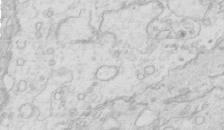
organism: Mouse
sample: Multiciliated cells